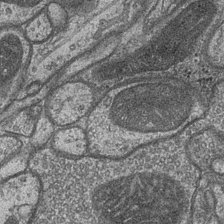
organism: Drosophila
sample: Optic medulla